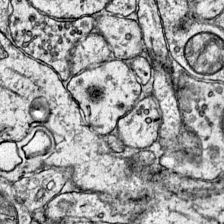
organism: Mouse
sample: Primary visual cortex